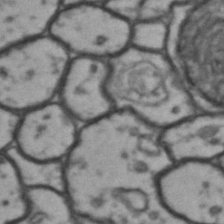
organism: Drosophila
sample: Brain